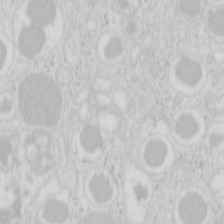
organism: Mouse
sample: Pancreas